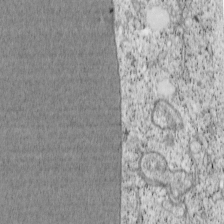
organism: African green monkey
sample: COS-7 cells